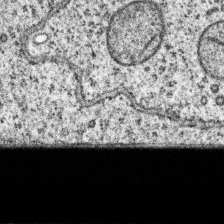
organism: Human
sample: HeLa cells